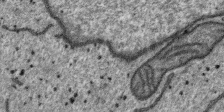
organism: Human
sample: Lung epithelial cells, uninfected (mock) control